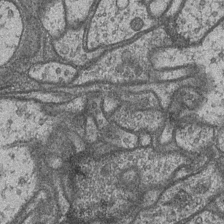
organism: Drosophila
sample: Optic medulla